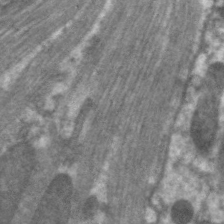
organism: C. elegans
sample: Pharynx